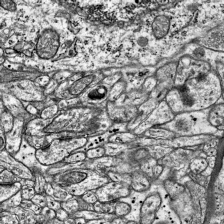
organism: Mouse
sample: Visual Cortex